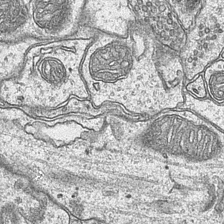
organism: Mouse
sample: CA1 Hippocampus